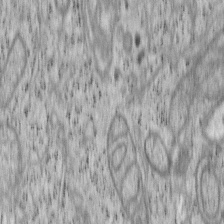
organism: Human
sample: HeLa cells